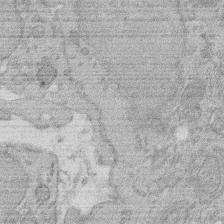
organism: Rat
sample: Salivary granule